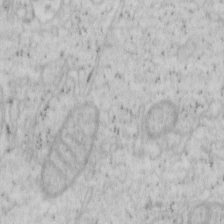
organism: Human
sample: HeLa cells